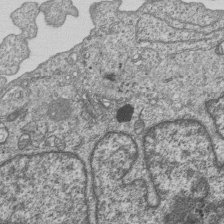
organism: Human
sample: MDA-MB-231 cells